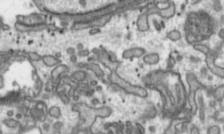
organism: Toxoplasma gondii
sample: Parasites in a vacuole inside a host cell